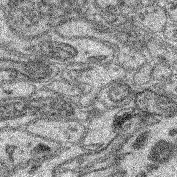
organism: Mouse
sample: Retina